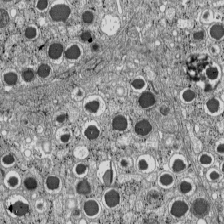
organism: C57BL Mouse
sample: Pancreatic islet